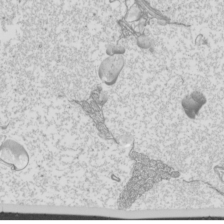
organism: Mouse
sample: Cilia; mouse epididymis